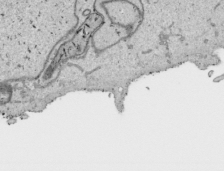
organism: Human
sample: Mitochondria in HCT116 cells